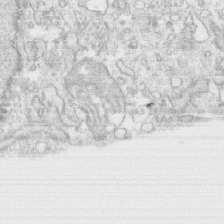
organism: Human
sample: CRL-1474